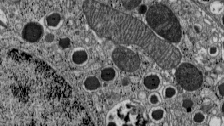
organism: C57BL Mouse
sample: Pancreatic islet